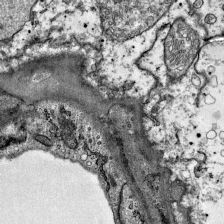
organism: Mouse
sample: Visual Cortex